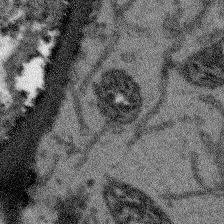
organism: Arabidopsis thaliana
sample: Root tip